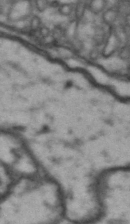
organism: Drosophila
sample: Brain